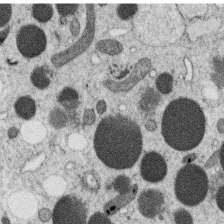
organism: C. elegans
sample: C. elegans oocyte; sperm cells